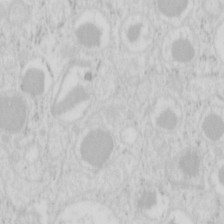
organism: Mouse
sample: Pancreas